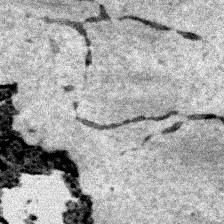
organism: Human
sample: Mitochondria in HCT116 cells